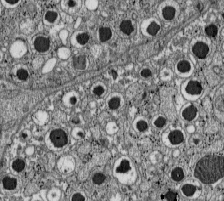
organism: C57BL Mouse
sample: Pancreatic islet